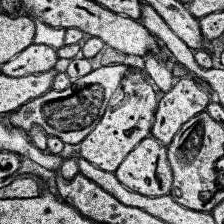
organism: Human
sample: Temporal Lobe